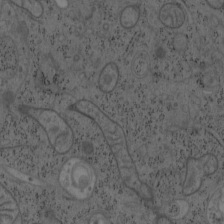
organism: Mouse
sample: OT-I killer T cells with ID8 ovarian cancer cells